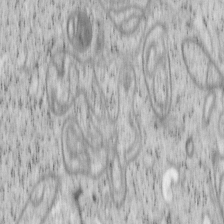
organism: Human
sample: HeLa cells